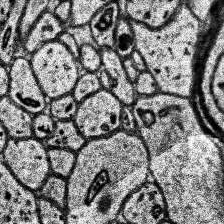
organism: Human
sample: Temporal Lobe